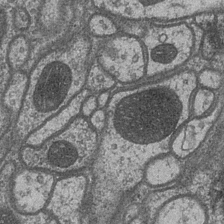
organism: Drosophila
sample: Optic medulla